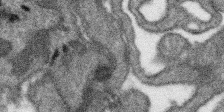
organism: Human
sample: Lung epithelial cells infected with SARS-CoV-2